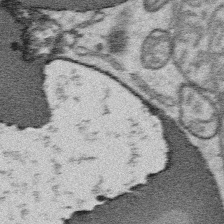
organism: Platynereis dumerilii